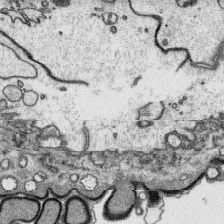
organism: Platynereis dumerilii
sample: Parapodia